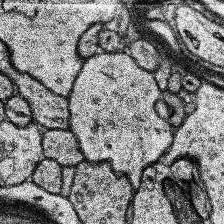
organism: Human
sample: Temporal Lobe